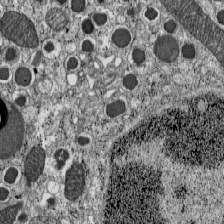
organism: C57BL Mouse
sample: Pancreatic islet